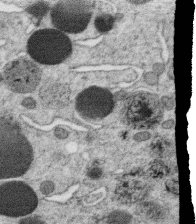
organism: C. elegans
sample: C. elegans oocyte; sperm cells